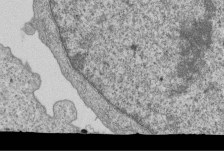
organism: Human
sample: MDA-MB-231 cells